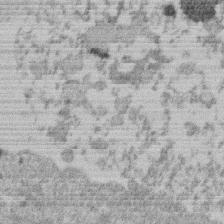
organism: Mouse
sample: Dividing mouse embryo 1 cell stage